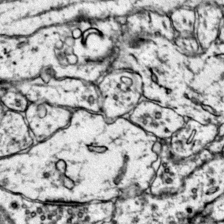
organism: Mouse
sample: Primary visual cortex